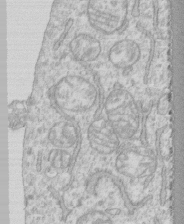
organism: Human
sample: CRL-1474